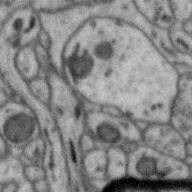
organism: Zebra finch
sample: Brain